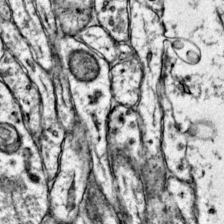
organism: Mouse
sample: Primary visual cortex